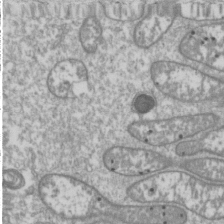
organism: Drosophila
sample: Cell division; meiosis; drosophila spermatocytes